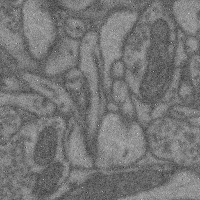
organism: Mouse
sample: Cerebral cortex